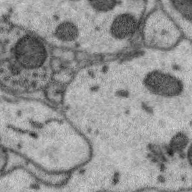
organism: Zebra finch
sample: Brain